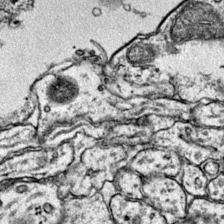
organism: Mouse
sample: Primary visual cortex